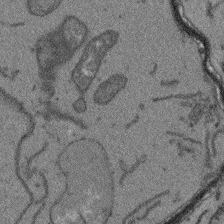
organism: Arabidopsis thaliana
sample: Root tip